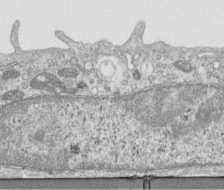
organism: Human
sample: Centriole in RPE cells